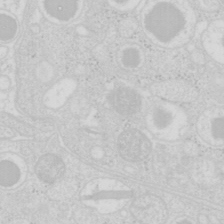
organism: Mouse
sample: Pancreas